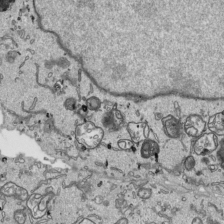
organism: Human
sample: Mitochondria in HCT116 cells